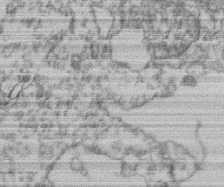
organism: Mouse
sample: T cell stromal cell synapse